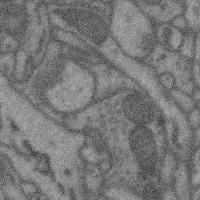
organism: Mouse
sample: Cerebral cortex